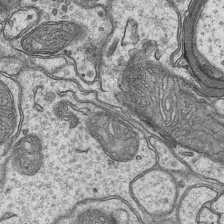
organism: Mouse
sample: CA1 Hippocampus